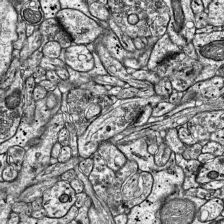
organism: Mouse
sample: Visual Cortex